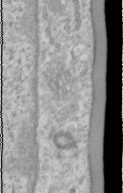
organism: Human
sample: Cilia; basal body in RPE cells